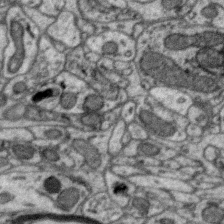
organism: Zebra finch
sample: Brain